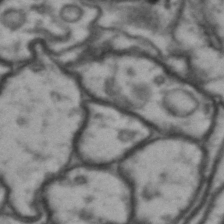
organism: Drosophila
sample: Brain